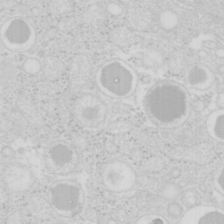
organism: Mouse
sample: Pancreas